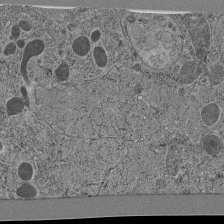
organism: C. elegans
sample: C. elegans pharynx